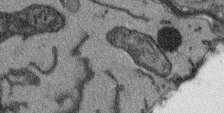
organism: Arabidopsis thaliana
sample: Root tip